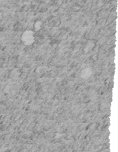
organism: C. elegans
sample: C. elegans embryo early stage